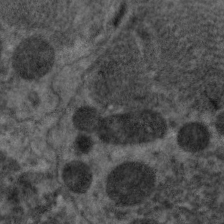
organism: C. elegans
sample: Pharynx